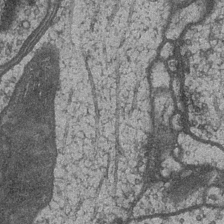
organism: Drosophila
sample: Optic medulla